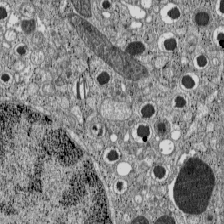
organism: C57BL Mouse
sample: Pancreatic islet